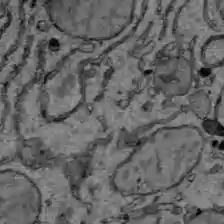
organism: C57BL Mouse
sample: Liver